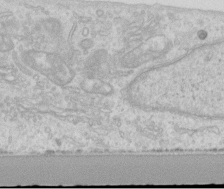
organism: Human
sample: Centriole in RPE cells